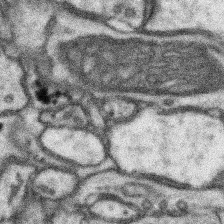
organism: Mouse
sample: Somatosensory cortex neuropil